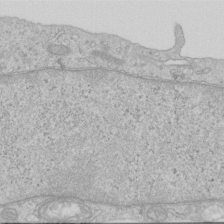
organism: Human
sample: Centriole in RPE cells